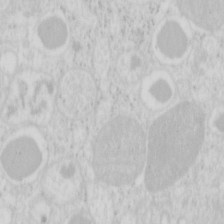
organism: Mouse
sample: Pancreas